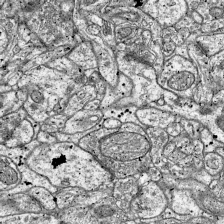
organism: Mouse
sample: Visual Cortex